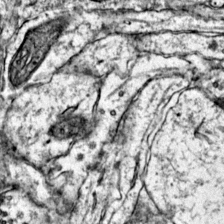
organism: Mouse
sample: Primary visual cortex